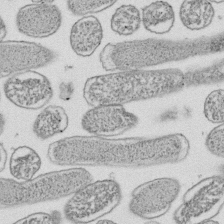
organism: E. coli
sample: Bacterial nucleoid